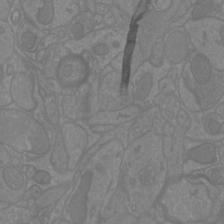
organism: Mouse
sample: Cortical neurons